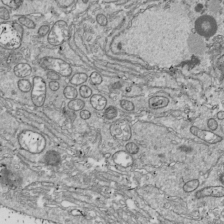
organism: Drosophila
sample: Cell division; meiosis; drosophila spermatocytes